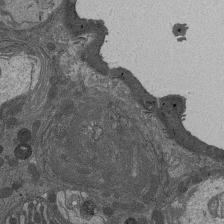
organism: Drosophila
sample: Antenna